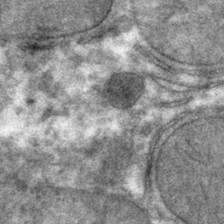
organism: Mouse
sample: Mouse hepatocytes